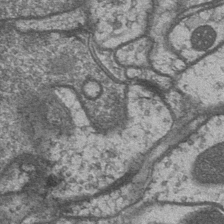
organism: Drosophila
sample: Optic medulla